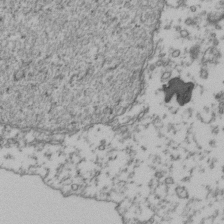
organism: Human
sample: Activated Jurkat CD4+ T cells